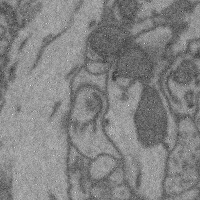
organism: Mouse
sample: Cerebral cortex